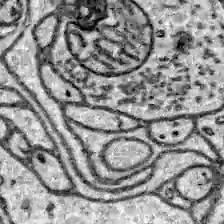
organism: Zebrafish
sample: Brain